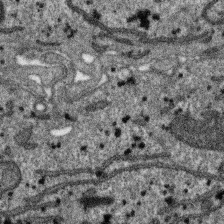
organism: Human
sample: Lung epithelial cells infected with SARS-CoV-2